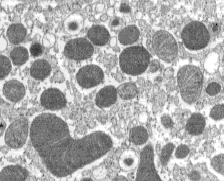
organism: C57BL Mouse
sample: Pancreatic islet